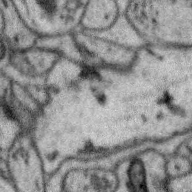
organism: Zebra finch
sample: Brain